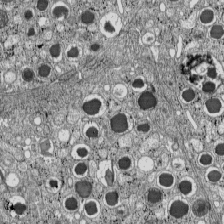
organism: C57BL Mouse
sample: Pancreatic islet